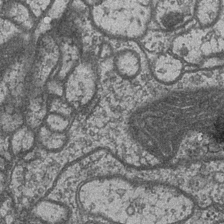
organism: Drosophila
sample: Optic medulla